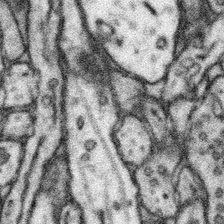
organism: Mouse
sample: Somatosensory cortex neuropil